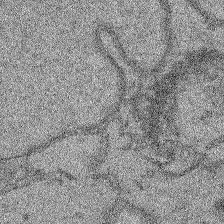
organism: Human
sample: HeLa cells